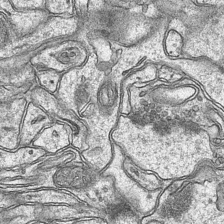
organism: Mouse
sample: CA1 Hippocampus